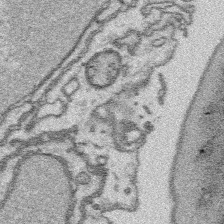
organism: Platynereis dumerilii